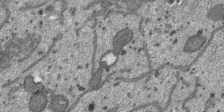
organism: Human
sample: Lung epithelial cells infected with SARS-CoV-2